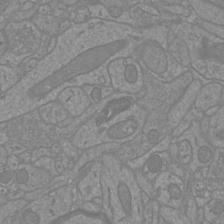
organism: Mouse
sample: Cortical neurons